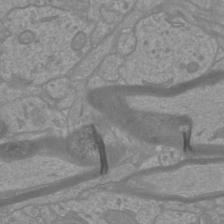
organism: Mouse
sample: Cortical neurons